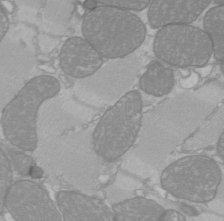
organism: C57BL Mouse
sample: Heart